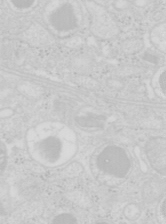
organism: Mouse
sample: Pancreas